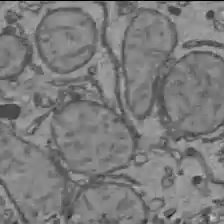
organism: C57BL Mouse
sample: Liver